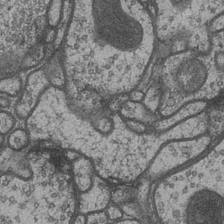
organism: Drosophila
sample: Optic medulla